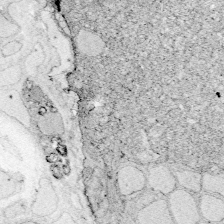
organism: Zebrafish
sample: Whole-Brain